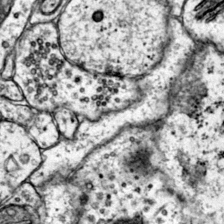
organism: Mouse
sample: Primary visual cortex